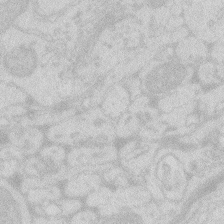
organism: Zebrafish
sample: Macrophage